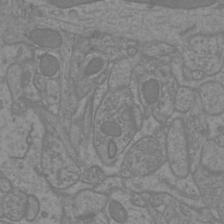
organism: Mouse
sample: Cortical neurons